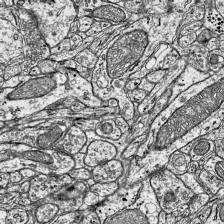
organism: Mouse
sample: Visual Cortex